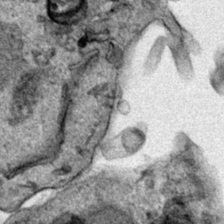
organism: Human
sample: Mitochondria in HCT116 cells